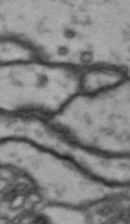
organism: Drosophila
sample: Brain